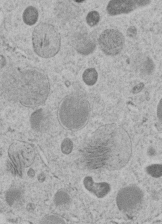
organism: C. elegans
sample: C. elegans embryo early stage